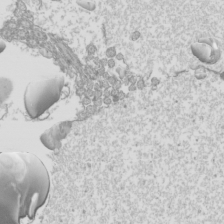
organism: Mouse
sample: Cilia; mouse epididymis